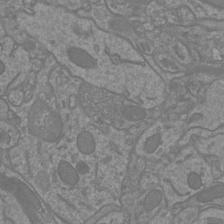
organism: Mouse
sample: Cortical neurons